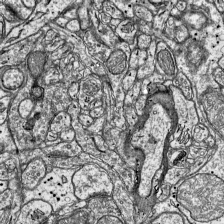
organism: Mouse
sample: Visual Cortex